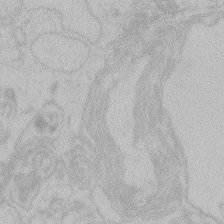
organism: Zebrafish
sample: Macrophage infected with Toxoplasma gondii